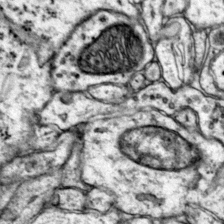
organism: Mouse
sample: Primary visual cortex